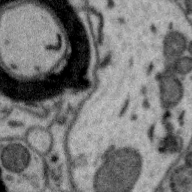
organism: Zebra finch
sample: Brain